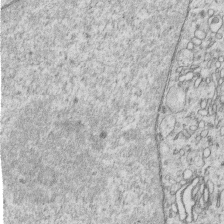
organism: Human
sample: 1205lu cells